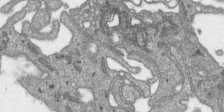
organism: Human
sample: Lung epithelial cells infected with SARS-CoV-2